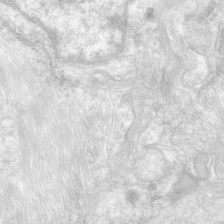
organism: Human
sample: Neocortex